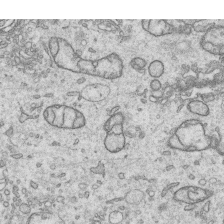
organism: Human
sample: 1205lu cells